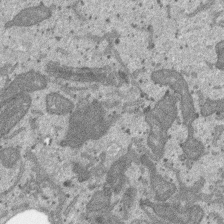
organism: Human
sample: Lung epithelial cells infected with SARS-CoV-2